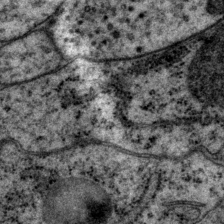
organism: P. pacificus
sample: Pharynx